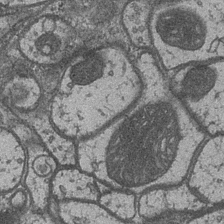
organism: Drosophila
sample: Optic medulla